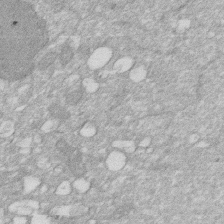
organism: Human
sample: HIV infected U937 cells